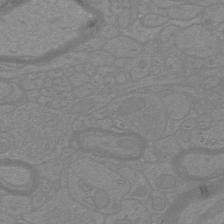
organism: Mouse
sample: Cortical neurons